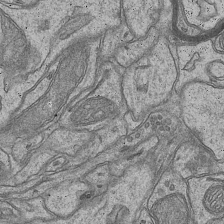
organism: Mouse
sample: CA1 Hippocampus